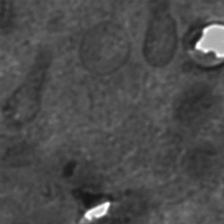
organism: C. elegans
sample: C. elegans embryo